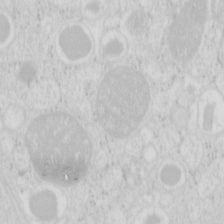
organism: Mouse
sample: Pancreas